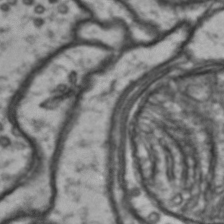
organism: Drosophila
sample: Brain